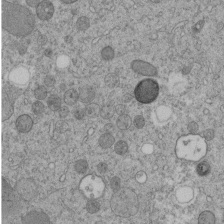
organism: C. elegans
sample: C. elegans embryo early stage